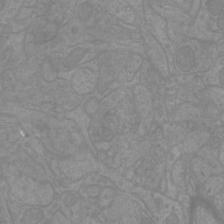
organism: Mouse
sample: Cortical neurons